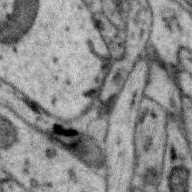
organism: Zebra finch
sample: Brain